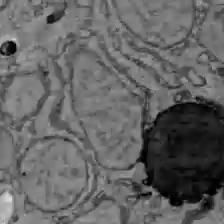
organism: C57BL Mouse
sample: Liver